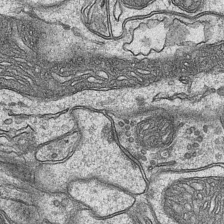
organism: Mouse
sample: CA1 Hippocampus